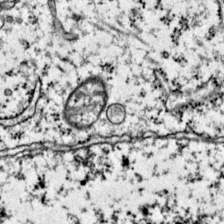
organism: Mouse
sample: Primary visual cortex